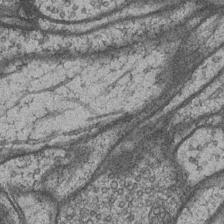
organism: Drosophila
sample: Optic medulla